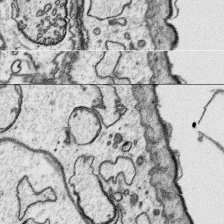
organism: Platynereis dumerilii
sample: Parapodia